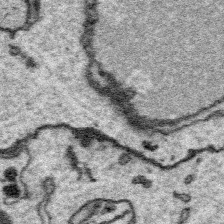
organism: Platynereis dumerilii